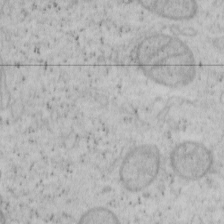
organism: Human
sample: HeLa cells